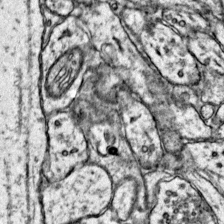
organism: Mouse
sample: Primary visual cortex